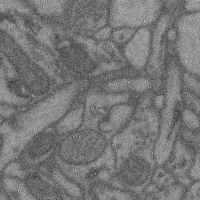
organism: Mouse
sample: Cerebral cortex